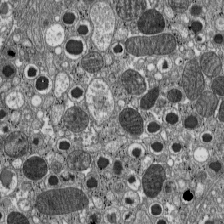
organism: C57BL Mouse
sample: Pancreatic islet